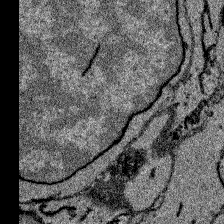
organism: Zebrafish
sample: Larval olfactory bulb